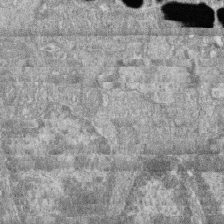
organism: Zebrafish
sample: Cilia; retinal pigment epithelium